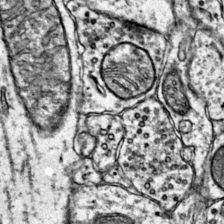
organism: Mouse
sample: Primary visual cortex